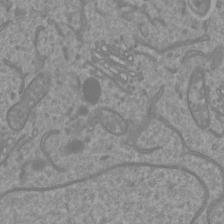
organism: Mouse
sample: Cortical neurons